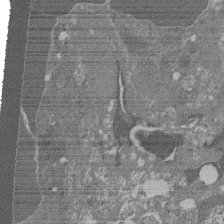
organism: Mouse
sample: Glomerulus